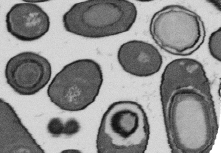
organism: B. subtilis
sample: Bacterial spore